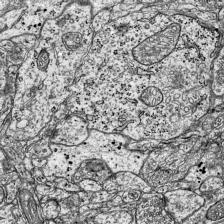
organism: Mouse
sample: Visual Cortex